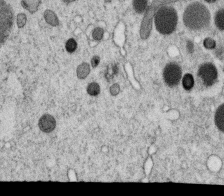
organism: C. elegans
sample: C. elegans oocyte; sperm cells